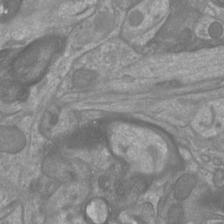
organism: Mouse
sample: Cortical neurons